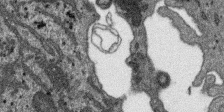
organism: Human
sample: Lung epithelial cells infected with SARS-CoV-2